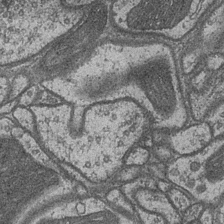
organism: Drosophila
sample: Optic medulla